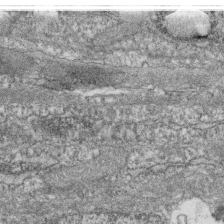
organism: Zebrafish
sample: Cilia; retinal pigment epithelium